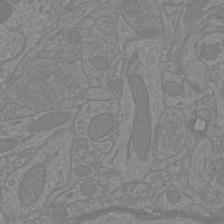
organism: Mouse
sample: Cortical neurons